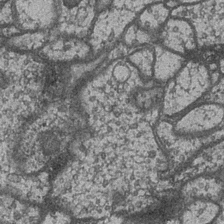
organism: Drosophila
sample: Optic medulla